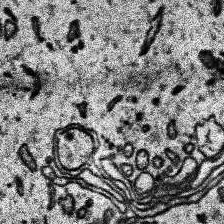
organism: Human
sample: Temporal Lobe